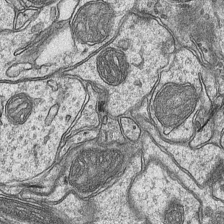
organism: Mouse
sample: CA1 Hippocampus